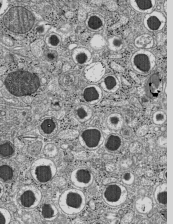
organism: C57BL Mouse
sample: Pancreatic islet